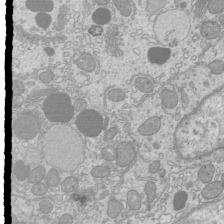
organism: Mouse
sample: Cilia; mouse epididymis